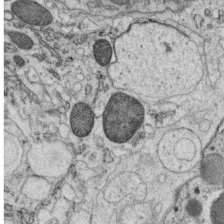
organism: C. elegans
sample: C. elegans oocyte; sperm cells